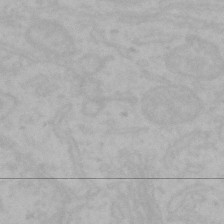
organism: Mouse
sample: Choroid plexus